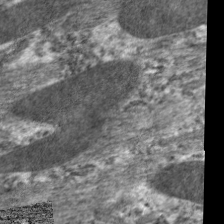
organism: C. elegans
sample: Pharynx